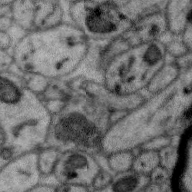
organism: Zebra finch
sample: Brain